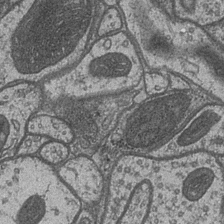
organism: Drosophila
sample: Optic medulla